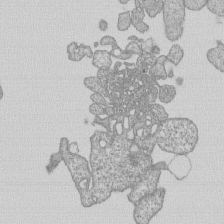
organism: Human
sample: MDA-MB-231 cells